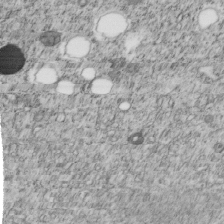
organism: C. elegans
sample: C. elegans embryo early stage